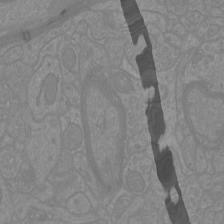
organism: Mouse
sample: Cortical neurons